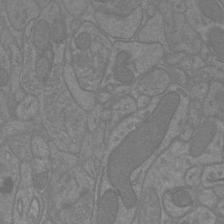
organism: Mouse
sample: Cortical neurons